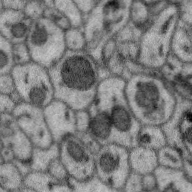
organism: Zebra finch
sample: Brain